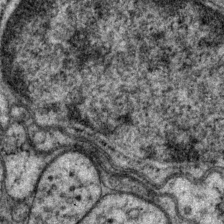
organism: P. pacificus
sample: Pharynx